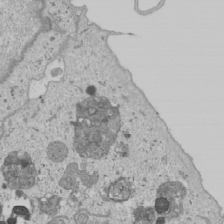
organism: Human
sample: Mitochondria in U2OS cells